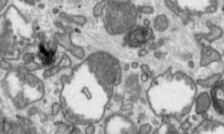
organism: Toxoplasma gondii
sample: Parasites in a vacuole inside a host cell